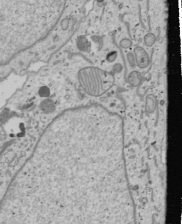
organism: Human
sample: Mitochondria in U2OS cells